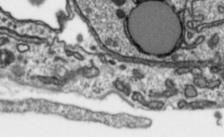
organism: Toxoplasma gondii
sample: Parasites in a vacuole inside a host cell